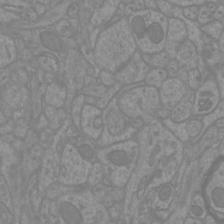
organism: Mouse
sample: Cortical neurons